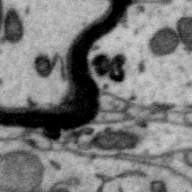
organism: Zebra finch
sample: Brain